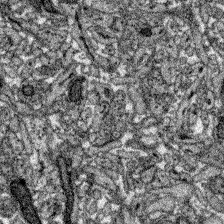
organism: Zebrafish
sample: Larval olfactory bulb